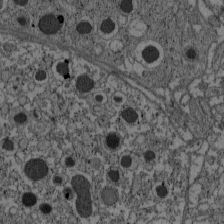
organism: C57BL Mouse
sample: Pancreatic islet